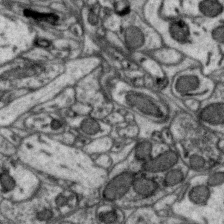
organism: Zebra finch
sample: Brain